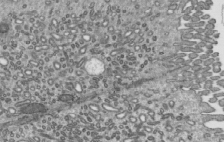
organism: Mouse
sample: Mouse epididymis efferent ductule cilia